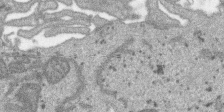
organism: Human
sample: Lung epithelial cells infected with SARS-CoV-2